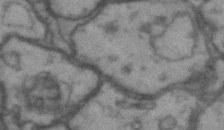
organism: Drosophila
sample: Brain